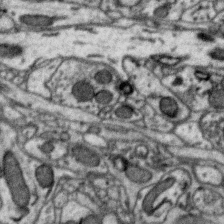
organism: Zebra finch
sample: Brain